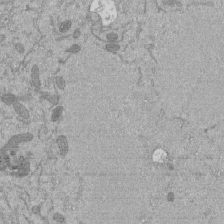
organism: Mouse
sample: ED-1 cell nuclei; centrioles